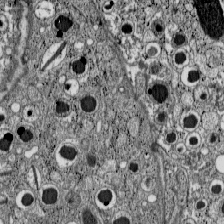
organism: C57BL Mouse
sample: Pancreatic islet